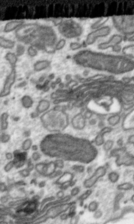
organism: Toxoplasma gondii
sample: Parasites in a vacuole inside a host cell